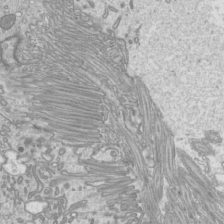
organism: Mouse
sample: Cilia; mouse epididymis